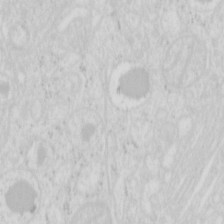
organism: Mouse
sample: Pancreas